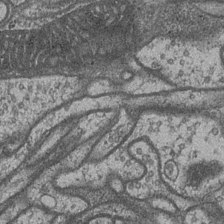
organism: Drosophila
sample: Optic medulla